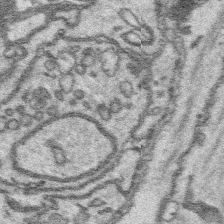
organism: Platynereis dumerilii